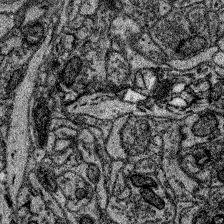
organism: Zebrafish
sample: Larval olfactory bulb